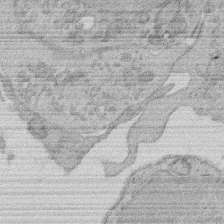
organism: Rat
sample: Salivary granule